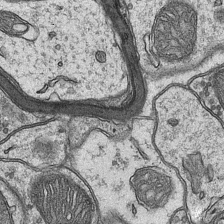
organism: Mouse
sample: CA1 Hippocampus